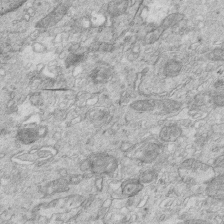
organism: Mouse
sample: Multiciliated cells